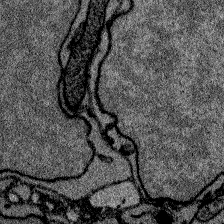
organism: Zebrafish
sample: Larval olfactory bulb